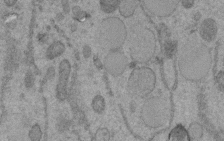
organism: C. elegans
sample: C. elegans embryo early stage